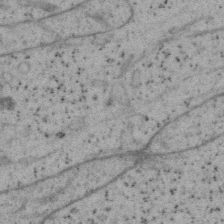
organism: Human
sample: HeLa cells